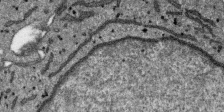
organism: Human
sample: Lung epithelial cells, uninfected (mock) control